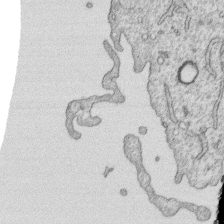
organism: Human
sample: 1205lu cells